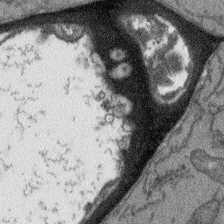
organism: Arabidopsis thaliana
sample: Root tip